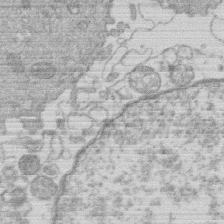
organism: Human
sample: Macrophage cells